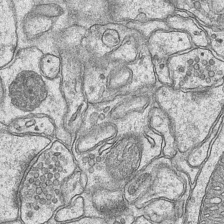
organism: Mouse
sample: CA1 Hippocampus